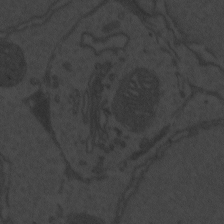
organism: Zebrafish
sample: Macrophage infected with Toxoplasma gondii